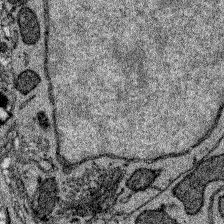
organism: Zebrafish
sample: Larval olfactory bulb